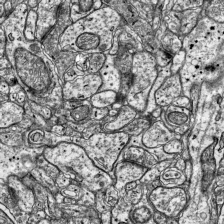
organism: Mouse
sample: Visual Cortex